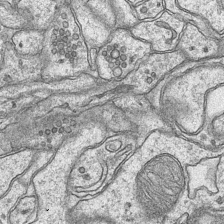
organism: Mouse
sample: CA1 Hippocampus